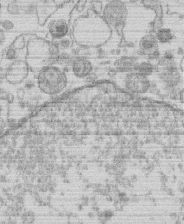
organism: Human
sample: Macrophage cells